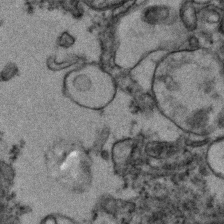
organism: Zebrafish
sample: Zebrafish embryo